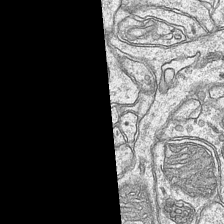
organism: Mouse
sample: CA1 Hippocampus